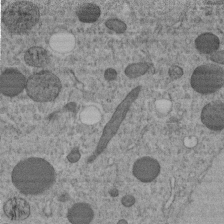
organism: C. elegans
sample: C. elegans embryo early stage